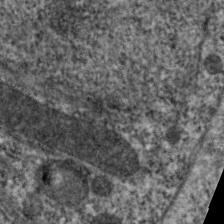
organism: C. elegans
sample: Pharynx